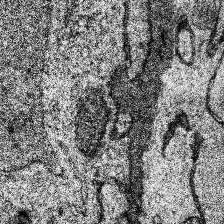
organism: Human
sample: Temporal Lobe